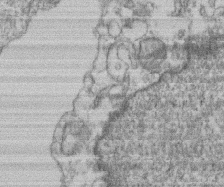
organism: Mouse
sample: T cell stromal cell synapse